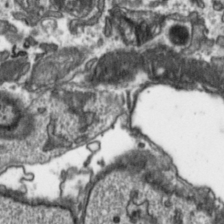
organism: Toxoplasma gondii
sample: Parasites in a vacuole inside a host cell